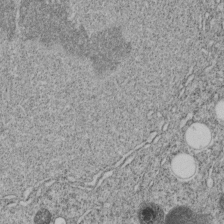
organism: C. elegans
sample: C. elegans embryo early stage